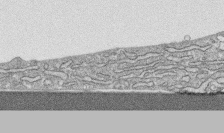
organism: Human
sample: CRL-1474